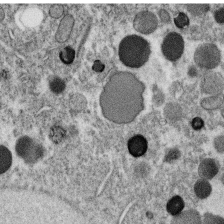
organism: C. elegans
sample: C. elegans oocyte; sperm cells